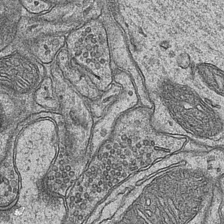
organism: Mouse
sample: CA1 Hippocampus